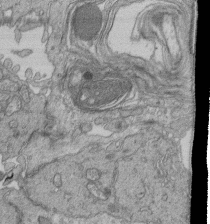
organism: Human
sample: Retinal organoid Rod and Cone cells